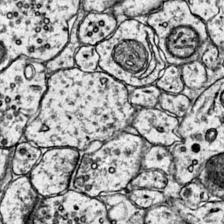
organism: Mouse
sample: Primary visual cortex